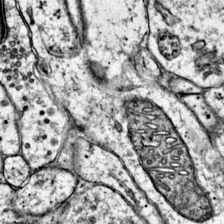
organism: Mouse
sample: Primary visual cortex